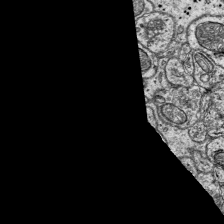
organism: Mouse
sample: Visual Cortex